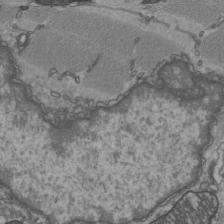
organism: C57BL Mouse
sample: Heart